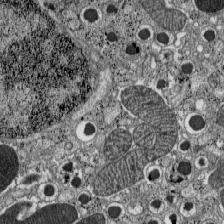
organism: C57BL Mouse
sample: Pancreatic islet